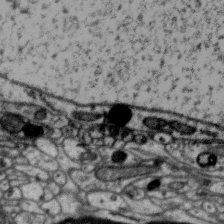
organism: Zebra finch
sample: Brain